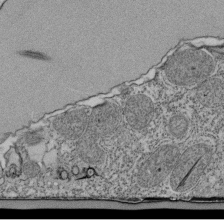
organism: Tetrahymena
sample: Cilia in tetrahymena